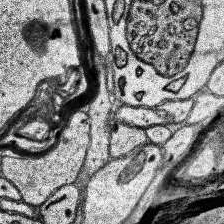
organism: Human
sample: Temporal Lobe